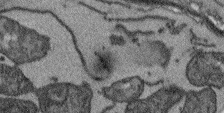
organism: Arabidopsis thaliana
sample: Root tip